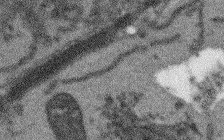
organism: Arabidopsis thaliana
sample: Root tip